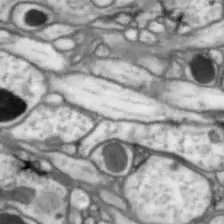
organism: Drosophila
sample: Optic lobe